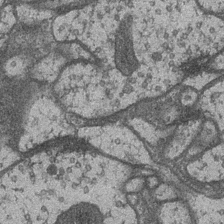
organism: Drosophila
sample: Optic medulla